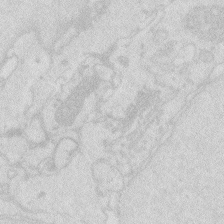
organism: Zebrafish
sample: Macrophage